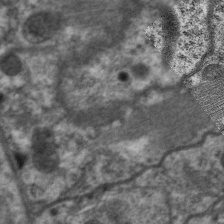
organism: C. elegans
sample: Pharynx